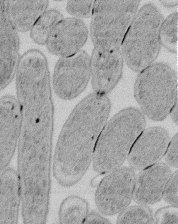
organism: E. coli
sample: Bacterial nucleoid